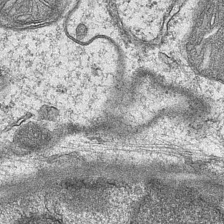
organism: Mouse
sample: CA1 Hippocampus